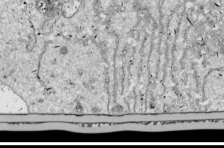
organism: Drosophila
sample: Cell division; meiosis; drosophila spermatocytes